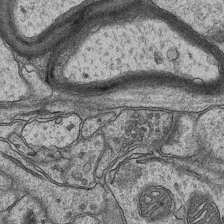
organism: Mouse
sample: CA1 Hippocampus